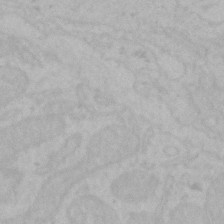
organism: Mouse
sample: Choroid plexus